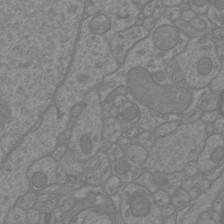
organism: Mouse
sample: Cortical neurons